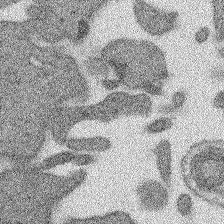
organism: Human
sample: HeLa cells